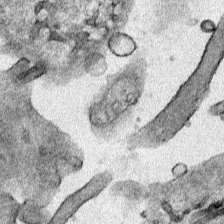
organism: Human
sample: Mitochondria in HCT116 cells